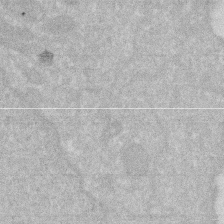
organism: Human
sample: HIV infected U937 cells